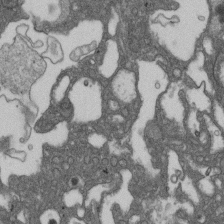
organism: Drosophila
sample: Nephrocyte